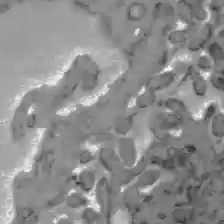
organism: C57BL Mouse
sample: Liver